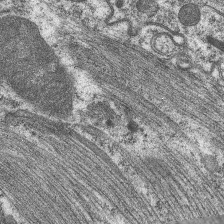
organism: C. elegans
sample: Pharynx